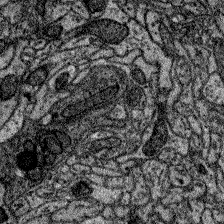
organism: Zebrafish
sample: Larval olfactory bulb